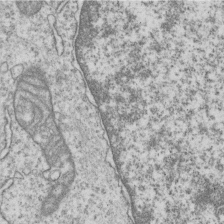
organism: Human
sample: MDA-MB-231 cells